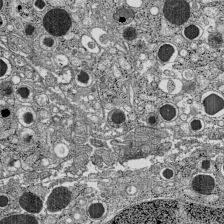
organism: C57BL Mouse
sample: Pancreatic islet